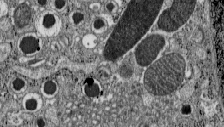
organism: C57BL Mouse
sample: Pancreatic islet